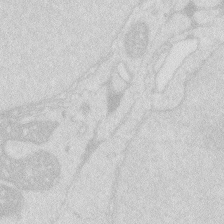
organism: Zebrafish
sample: Macrophage